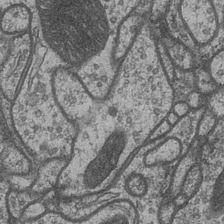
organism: Drosophila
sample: Optic medulla